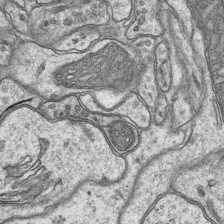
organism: Mouse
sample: CA1 Hippocampus